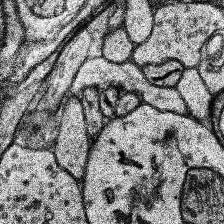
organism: Human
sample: Temporal Lobe